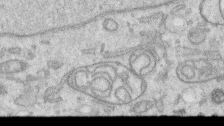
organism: Human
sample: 1205lu cells